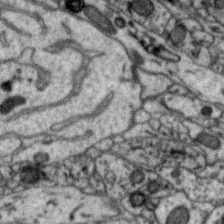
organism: Zebra finch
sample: Brain